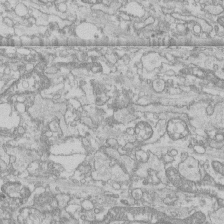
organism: Human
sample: CRL-1474